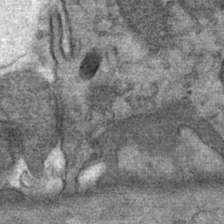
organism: Mouse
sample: Mouse Salivary gland